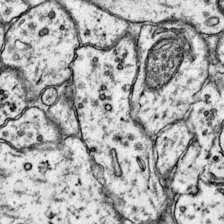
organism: Mouse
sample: Primary visual cortex